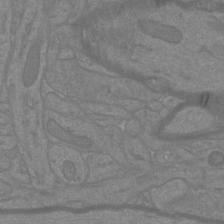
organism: Mouse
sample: Cortical neurons